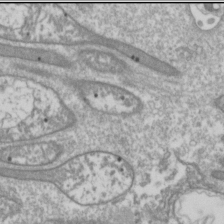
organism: Drosophila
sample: Cell division; meiosis; drosophila spermatocytes